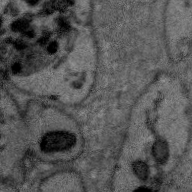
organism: Zebra finch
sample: Brain